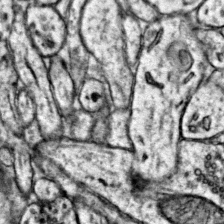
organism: Mouse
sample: Primary visual cortex